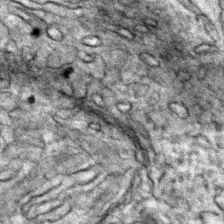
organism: Zebrafish